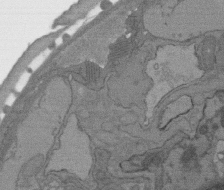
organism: C. elegans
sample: AFD neurons C. elegans